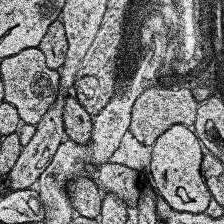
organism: Human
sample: Temporal Lobe